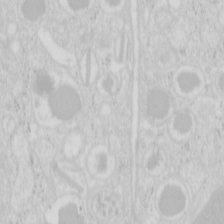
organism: Mouse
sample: Pancreas